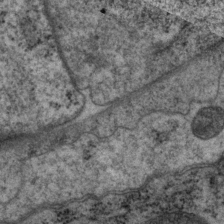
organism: P. pacificus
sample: Pharynx